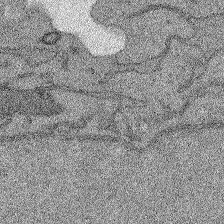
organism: Human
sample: HeLa cells